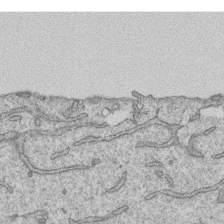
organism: Human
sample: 1205lu cells